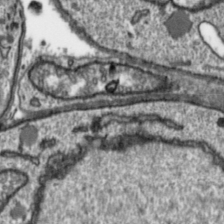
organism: Toxoplasma gondii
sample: Parasites in a vacuole inside a host cell